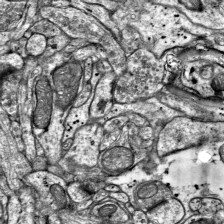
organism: Mouse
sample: Visual Cortex